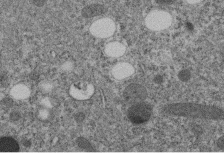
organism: C. elegans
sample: C. elegans embryo early stage